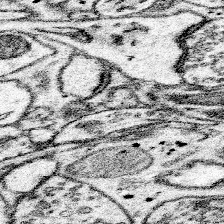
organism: Mouse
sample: Somatosensory cortex neuropil